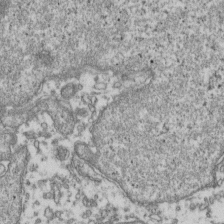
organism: Human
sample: Activated Jurkat CD4+ T cells